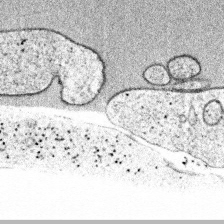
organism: Human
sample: HeLa cells